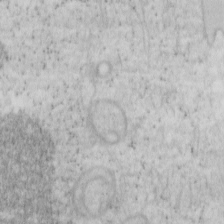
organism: Human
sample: HeLa cells